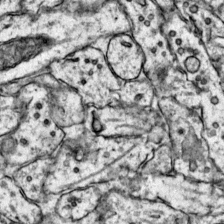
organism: Mouse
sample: Primary visual cortex